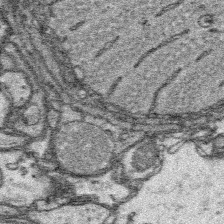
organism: Platynereis dumerilii